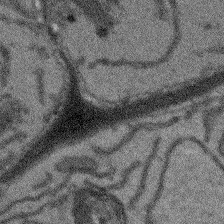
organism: Arabidopsis thaliana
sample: Root tip